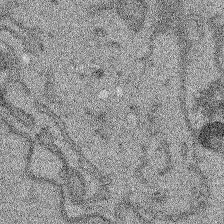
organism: Human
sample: HeLa cells